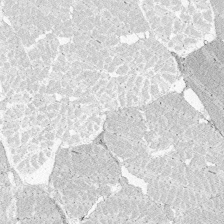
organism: Zebrafish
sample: Whole-Brain